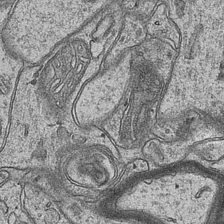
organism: Mouse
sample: CA1 Hippocampus